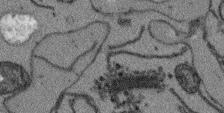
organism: Arabidopsis thaliana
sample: Root tip